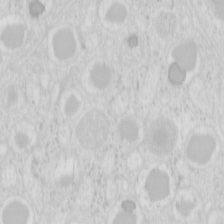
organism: Mouse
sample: Pancreas